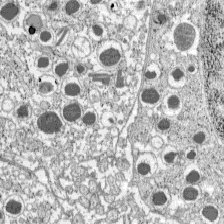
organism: C57BL Mouse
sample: Pancreatic islet